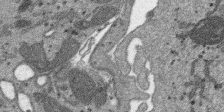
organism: Human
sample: Lung epithelial cells infected with SARS-CoV-2